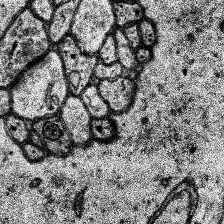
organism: Human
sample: Temporal Lobe